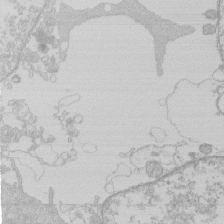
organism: Human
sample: Macrophage cells